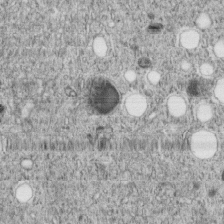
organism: C. elegans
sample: C. elegans embryo early stage